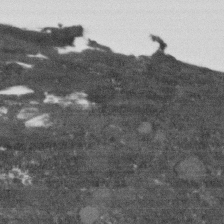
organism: Human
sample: Fibroblast cells